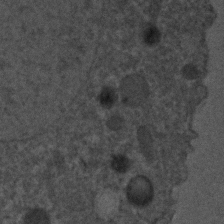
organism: C. elegans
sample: C. elegans embryo